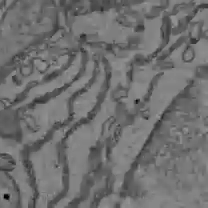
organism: C57BL Mouse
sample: Liver